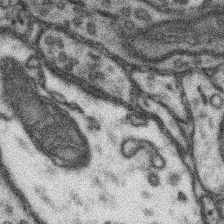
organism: Mouse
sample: Somatosensory cortex neuropil